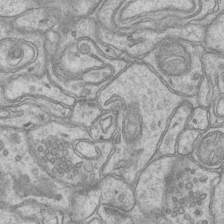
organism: Mouse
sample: CA1 Hippocampus